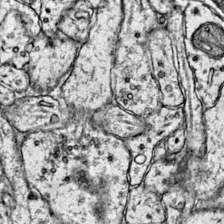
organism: Mouse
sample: Primary visual cortex